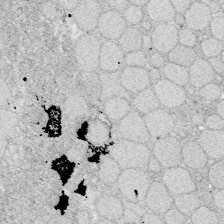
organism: Zebrafish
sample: Whole-Brain